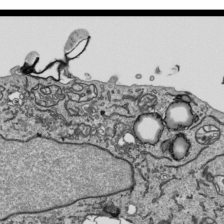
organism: Human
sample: Mitochondria in HCT116 cells